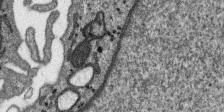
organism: Human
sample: Lung epithelial cells infected with SARS-CoV-2